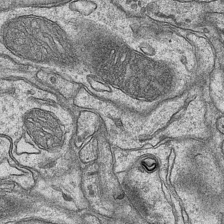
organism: Mouse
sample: CA1 Hippocampus